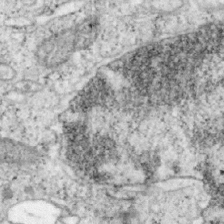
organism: Mouse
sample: OT-I killer T cells with ID8 ovarian cancer cells